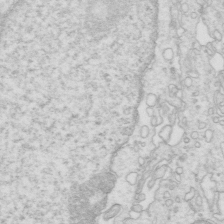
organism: Mouse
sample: Multiciliated cells